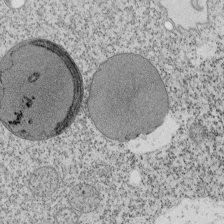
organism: Tetrahymena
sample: Cilia in tetrahymena